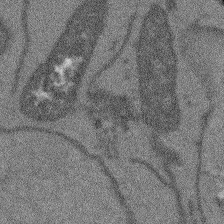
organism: Arabidopsis thaliana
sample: Root tip